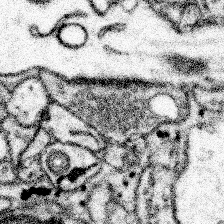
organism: Mouse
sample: Somatosensory cortex neuropil